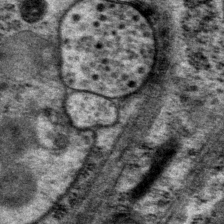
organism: P. pacificus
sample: Pharynx